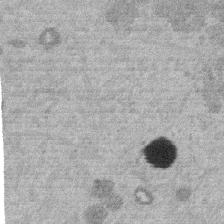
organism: Mouse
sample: Dividing mouse embryo 1 cell stage